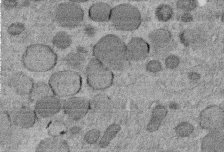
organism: C. elegans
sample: C. elegans embryo early stage